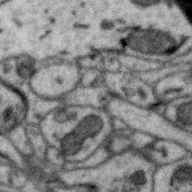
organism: Zebra finch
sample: Brain